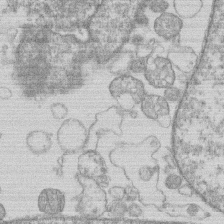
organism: Human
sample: Macrophage cells